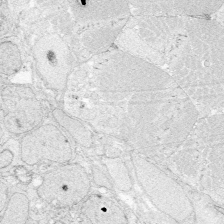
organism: Zebrafish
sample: Whole-Brain